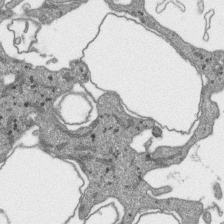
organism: Human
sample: Lung epithelial cells infected with SARS-CoV-2